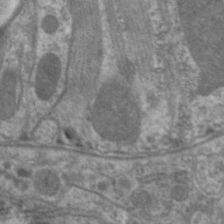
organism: C. elegans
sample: Pharynx